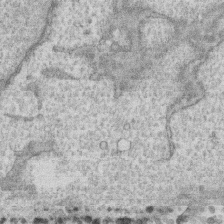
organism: Human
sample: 1205lu cells